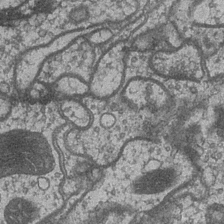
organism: Drosophila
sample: Optic medulla